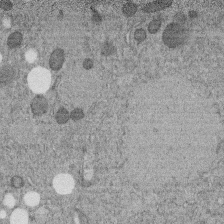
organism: C. elegans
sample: C. elegans embryo early stage